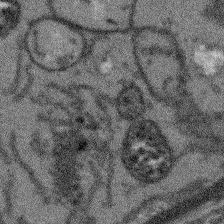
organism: Arabidopsis thaliana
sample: Root tip